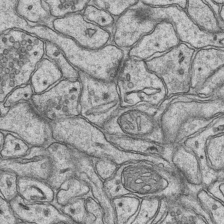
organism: Mouse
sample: CA1 Hippocampus